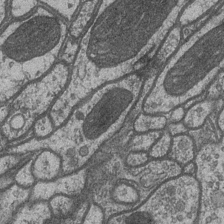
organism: Drosophila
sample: Optic medulla